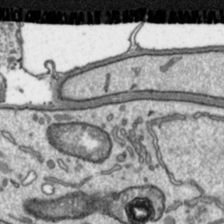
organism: Toxoplasma gondii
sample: Parasites in a vacuole inside a host cell